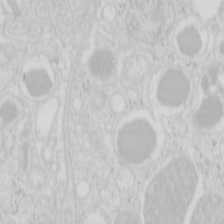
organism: Mouse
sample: Pancreas